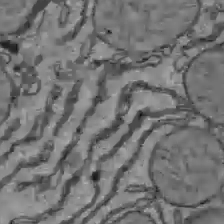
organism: C57BL Mouse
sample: Liver